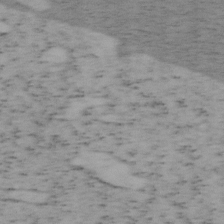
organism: Mouse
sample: OT-I killer T cells with ID8 ovarian cancer cells